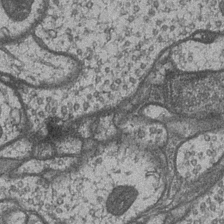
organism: Drosophila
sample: Optic medulla